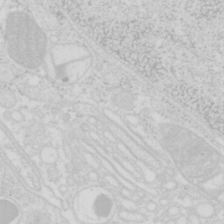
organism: Mouse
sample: Pancreas